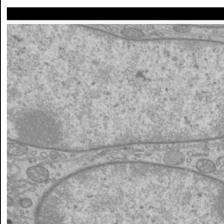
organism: Mouse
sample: Cilia; mouse epididymis